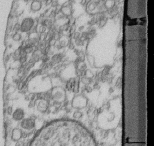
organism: Mouse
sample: Cilia; retinal pigment epithelium